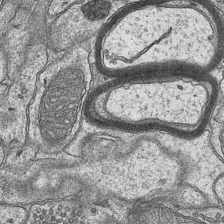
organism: Mouse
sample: CA1 Hippocampus